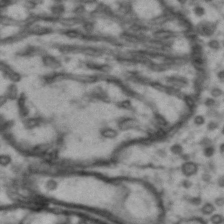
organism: Drosophila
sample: Brain